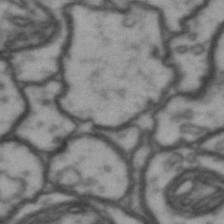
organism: Drosophila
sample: Brain